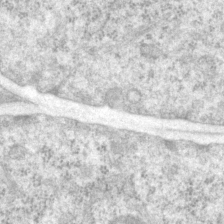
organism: P. pacificus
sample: Pharynx